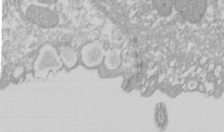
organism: Xenopus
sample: Cilia; centrioles in frog embryo cells